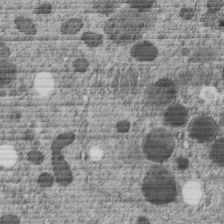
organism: C. elegans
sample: C. elegans embryo early stage